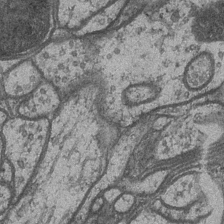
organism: Drosophila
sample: Optic medulla